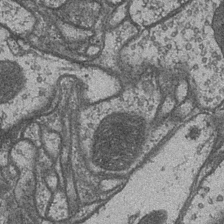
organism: Drosophila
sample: Optic medulla